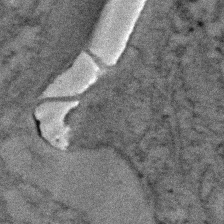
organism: Zebrafish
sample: Zebrafish embryo